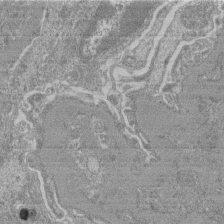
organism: Mouse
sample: Glomerulus